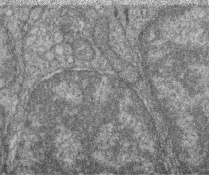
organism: Zebrafish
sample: Cilia; retinal pigment epithelium